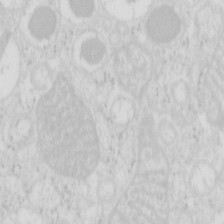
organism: Mouse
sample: Pancreas